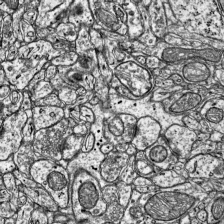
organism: Mouse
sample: Visual Cortex